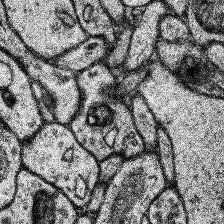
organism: Human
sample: Temporal Lobe